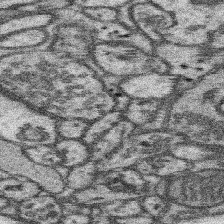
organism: Mouse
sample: Somatosensory cortex neuropil